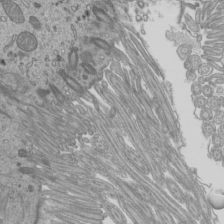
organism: Mouse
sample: Cilia; mouse epididymis